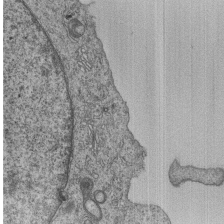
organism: Human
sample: MDA-MB-231 cells